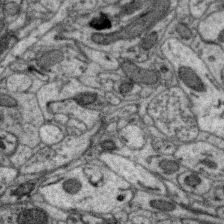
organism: Zebra finch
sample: Brain